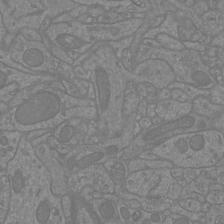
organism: Mouse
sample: Cortical neurons